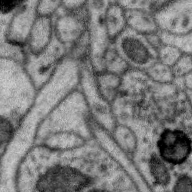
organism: Zebra finch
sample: Brain